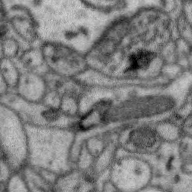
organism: Zebra finch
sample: Brain